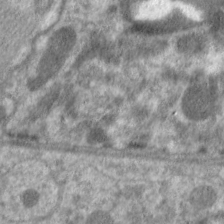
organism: C. elegans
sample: Pharynx